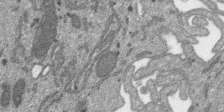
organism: Human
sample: Lung epithelial cells infected with SARS-CoV-2